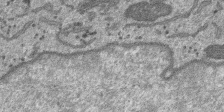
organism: Human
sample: Lung epithelial cells infected with SARS-CoV-2